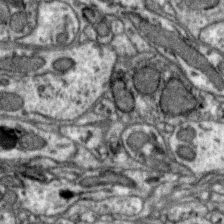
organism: Zebra finch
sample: Brain